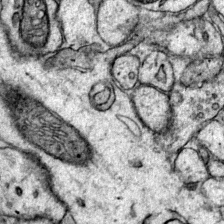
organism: Mouse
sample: Primary visual cortex